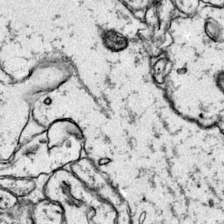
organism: Mouse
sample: Primary visual cortex